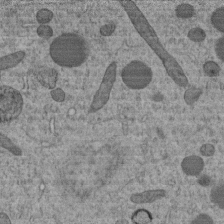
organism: C. elegans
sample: C. elegans embryo early stage